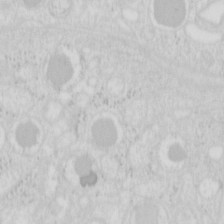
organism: Mouse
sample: Pancreas